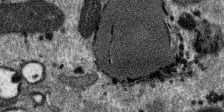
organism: Human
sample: Lung epithelial cells infected with SARS-CoV-2